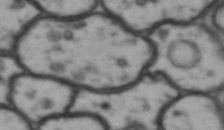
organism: Drosophila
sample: Brain